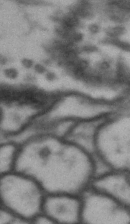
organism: Drosophila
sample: Brain